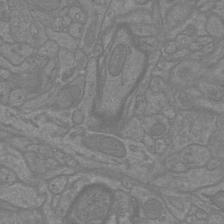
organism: Mouse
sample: Cortical neurons